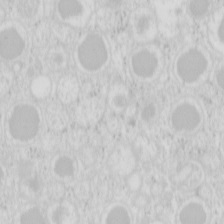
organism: Mouse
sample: Pancreas